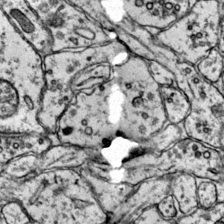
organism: Mouse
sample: Primary visual cortex